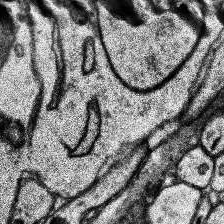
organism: Human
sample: Temporal Lobe